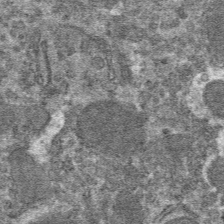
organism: Mouse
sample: Mouse hepatocytes